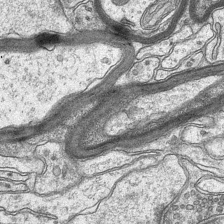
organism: Mouse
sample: CA1 Hippocampus